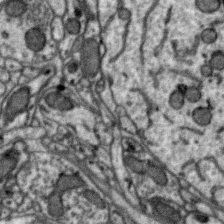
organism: Zebra finch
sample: Brain